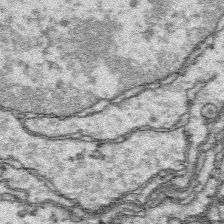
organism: Platynereis dumerilii